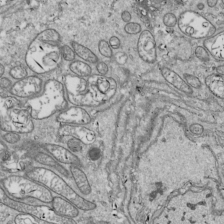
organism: Drosophila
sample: Cell division; meiosis; drosophila spermatocytes